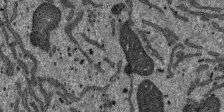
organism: Human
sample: Lung epithelial cells infected with SARS-CoV-2